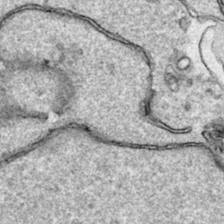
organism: Human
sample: Mitochondria in HCT116 cells